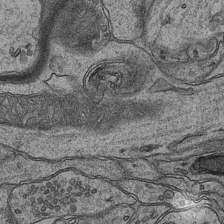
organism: Mouse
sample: CA1 Hippocampus